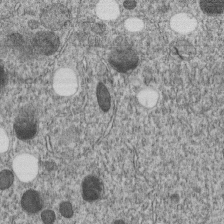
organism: C. elegans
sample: C. elegans embryo early stage